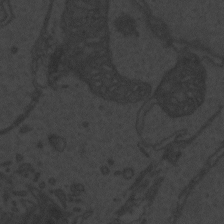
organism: Zebrafish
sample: Macrophage infected with Toxoplasma gondii